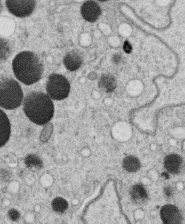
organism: C. elegans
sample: C. elegans oocyte; sperm cells